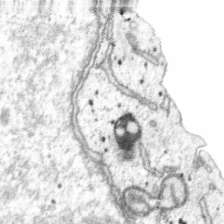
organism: Human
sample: HeLa cells